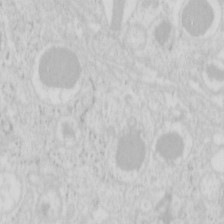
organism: Mouse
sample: Pancreas